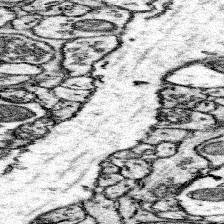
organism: Mouse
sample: Somatosensory cortex neuropil